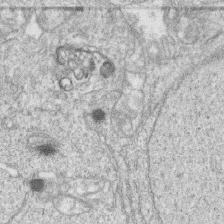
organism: Human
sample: HeLa cell HIV synapse